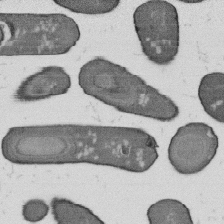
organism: B. subtilis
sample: Bacterial spore